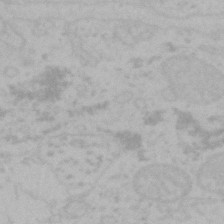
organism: Mouse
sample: Choroid plexus